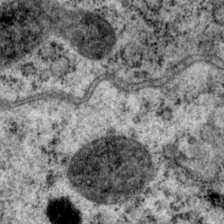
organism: P. pacificus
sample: Pharynx